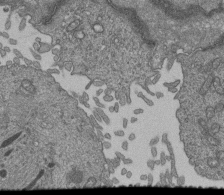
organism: Human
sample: Retinal organoid Rod and Cone cells